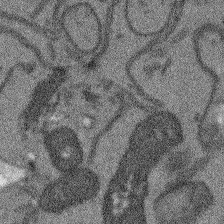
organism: Arabidopsis thaliana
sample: Root tip